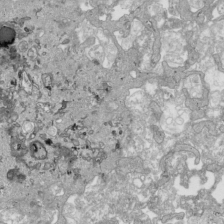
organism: Human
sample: Mitochondria in HCT116 cells